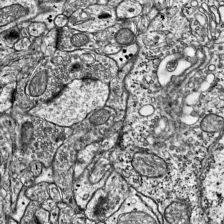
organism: Mouse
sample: Visual Cortex